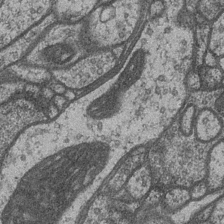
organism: Drosophila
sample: Optic medulla